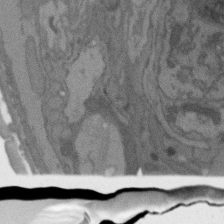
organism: C. elegans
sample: AFD neurons C. elegans